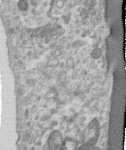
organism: Human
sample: Centriole in RPE cells